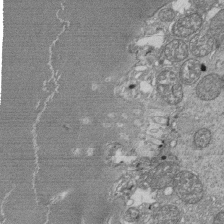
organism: Tetrahymena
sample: Cilia in tetrahymena